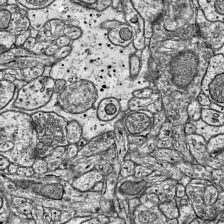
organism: Mouse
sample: Visual Cortex